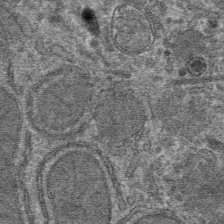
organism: Mouse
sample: Mouse hepatocytes